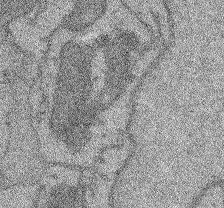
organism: Human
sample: HeLa cells